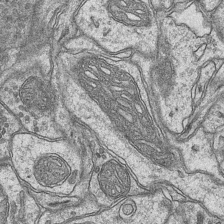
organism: Mouse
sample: CA1 Hippocampus